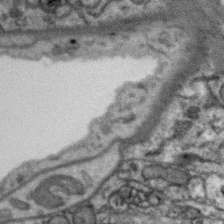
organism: Zebra finch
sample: Brain